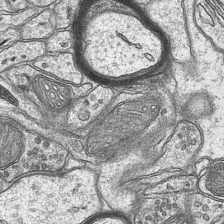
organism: Mouse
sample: CA1 Hippocampus